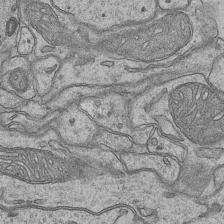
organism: Mouse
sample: CA1 Hippocampus